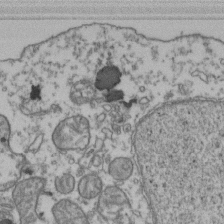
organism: Human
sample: Activated Jurkat CD4+ T cells